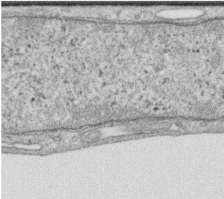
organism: Human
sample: Centriole in RPE cells